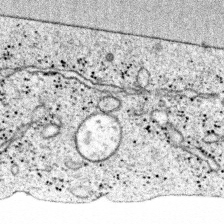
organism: Human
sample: HeLa cells